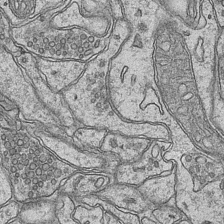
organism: Mouse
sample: CA1 Hippocampus